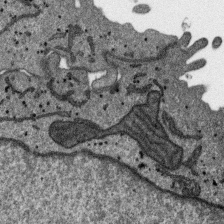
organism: Human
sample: Lung epithelial cells, uninfected (mock) control